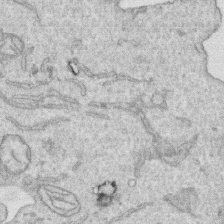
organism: Human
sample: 1205lu cells